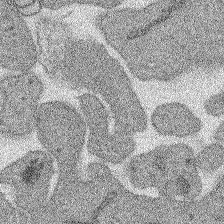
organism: Human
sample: HeLa cells